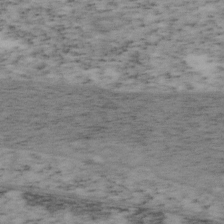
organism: Mouse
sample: OT-I killer T cells with ID8 ovarian cancer cells